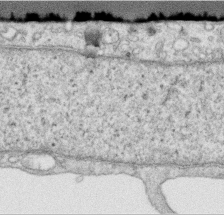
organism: Human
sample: Centriole in RPE cells